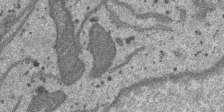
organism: Human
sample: Lung epithelial cells infected with SARS-CoV-2